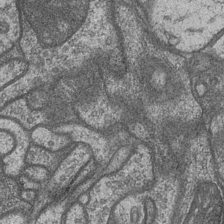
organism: Drosophila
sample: Optic medulla